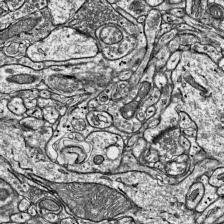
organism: Mouse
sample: Visual Cortex